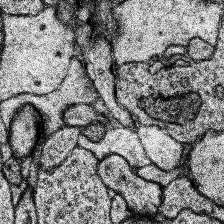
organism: Human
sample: Temporal Lobe